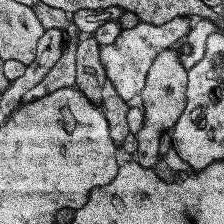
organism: Human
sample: Temporal Lobe